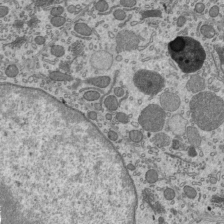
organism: Mouse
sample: Mouse epididymis efferent ductule cilia